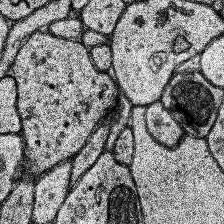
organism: Human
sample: Temporal Lobe